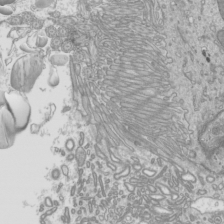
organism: Mouse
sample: Cilia; mouse epididymis